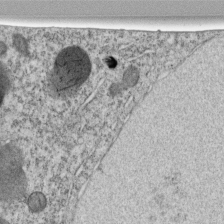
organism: C. elegans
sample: C. elegans embryo early stage